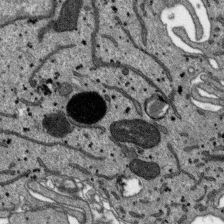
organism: Human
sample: Lung epithelial cells, uninfected (mock) control